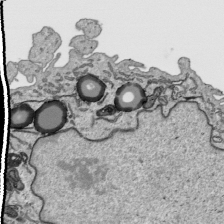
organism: Human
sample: Mitochondria in HCT116 cells